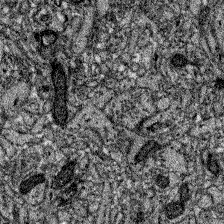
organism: Zebrafish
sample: Larval olfactory bulb